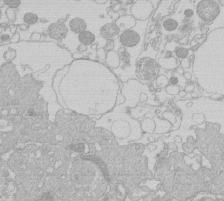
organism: Human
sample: Macrophage cells